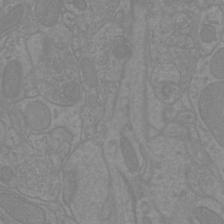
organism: Mouse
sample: Cortical neurons